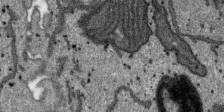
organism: Human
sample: Lung epithelial cells, uninfected (mock) control